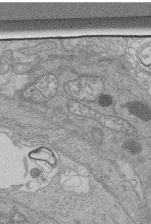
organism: Human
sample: Retinal organoid Rod and Cone cells